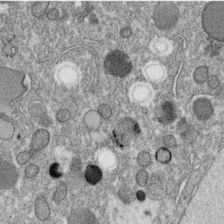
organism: C. elegans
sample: C. elegans oocyte; sperm cells